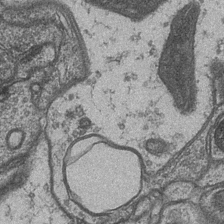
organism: Drosophila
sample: Optic medulla